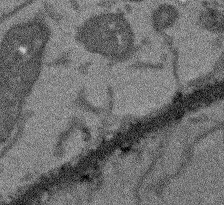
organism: Arabidopsis thaliana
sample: Root tip